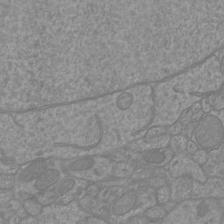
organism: Mouse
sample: Cortical neurons